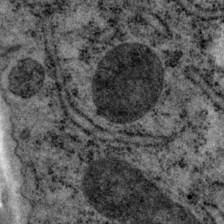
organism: P. pacificus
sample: Pharynx